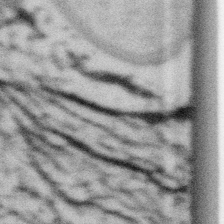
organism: Gemmata obscuriglobus